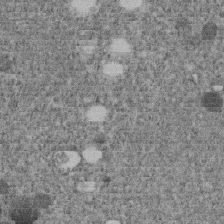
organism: C. elegans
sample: C. elegans embryo early stage